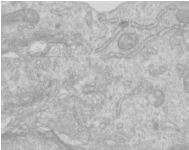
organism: Human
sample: Centriole in RPE cells